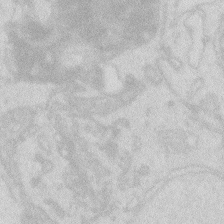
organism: Zebrafish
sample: Macrophage